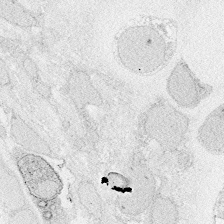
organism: Zebrafish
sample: Whole-Brain